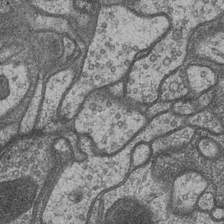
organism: Drosophila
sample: Optic medulla